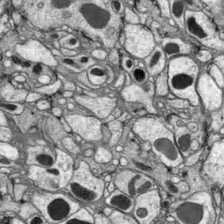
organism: Drosophila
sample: Optic lobe